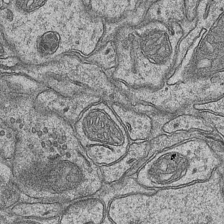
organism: Mouse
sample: CA1 Hippocampus